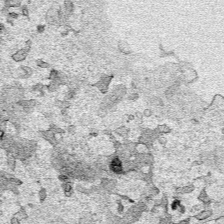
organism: Human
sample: Mitochondria in HCT116 cells